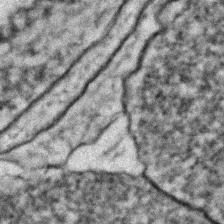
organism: C. elegans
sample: C. elegans embryo